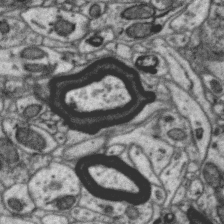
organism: Zebra finch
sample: Brain